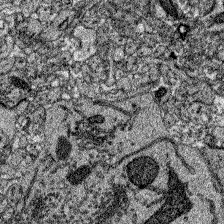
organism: Zebrafish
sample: Larval olfactory bulb